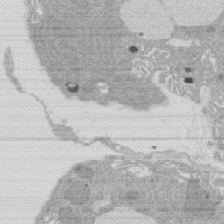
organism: Rat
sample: Salivary granule